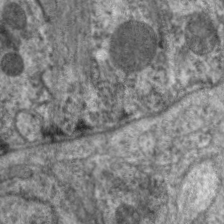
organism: C. elegans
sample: Pharynx